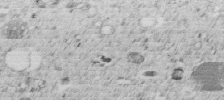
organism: C. elegans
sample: C. elegans embryo early stage